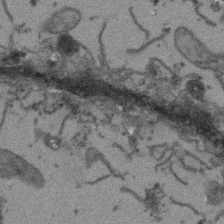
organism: Arabidopsis thaliana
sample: Root tip